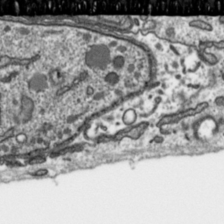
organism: Toxoplasma gondii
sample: Parasites in a vacuole inside a host cell